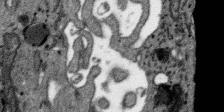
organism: Human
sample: Lung epithelial cells, uninfected (mock) control